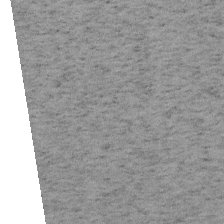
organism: Mouse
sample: OT-I killer T cells with ID8 ovarian cancer cells